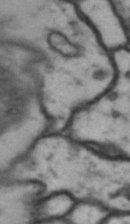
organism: Drosophila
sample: Brain